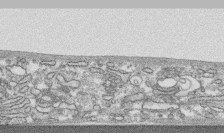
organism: Human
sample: CRL-1474